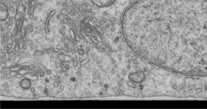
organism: Human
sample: Centriole in RPE cells